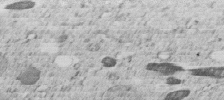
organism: C. elegans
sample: C. elegans embryo early stage